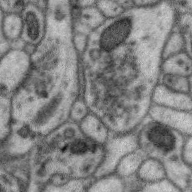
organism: Zebra finch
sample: Brain